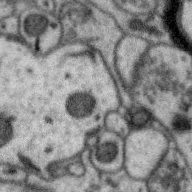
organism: Zebra finch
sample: Brain